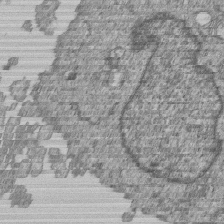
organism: Human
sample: MDA-MB-231 cells